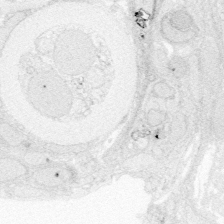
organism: Zebrafish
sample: Whole-Brain